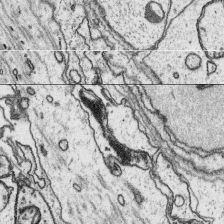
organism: Platynereis dumerilii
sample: Parapodia